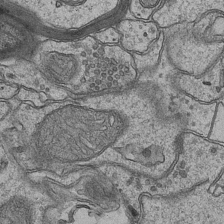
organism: Mouse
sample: CA1 Hippocampus